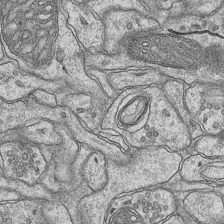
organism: Mouse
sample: CA1 Hippocampus